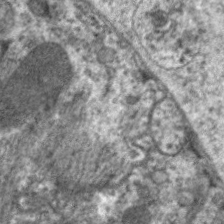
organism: C. elegans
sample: Pharynx